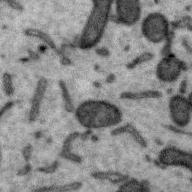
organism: Zebra finch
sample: Brain